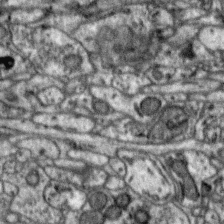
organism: Zebra finch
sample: Brain